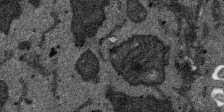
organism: Human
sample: Lung epithelial cells infected with SARS-CoV-2